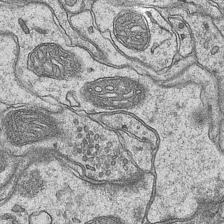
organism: Mouse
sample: CA1 Hippocampus